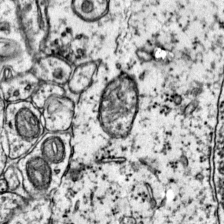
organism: Mouse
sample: Primary visual cortex